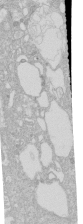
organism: Human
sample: Caco-2 cells